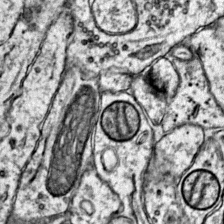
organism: Mouse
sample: Primary visual cortex